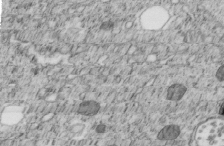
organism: C. elegans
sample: C. elegans embryo early stage